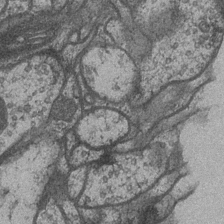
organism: Drosophila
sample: Optic medulla